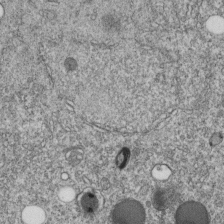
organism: C. elegans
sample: C. elegans embryo early stage